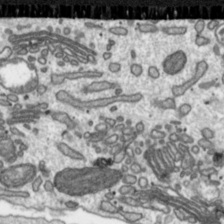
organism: Toxoplasma gondii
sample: Parasites in a vacuole inside a host cell